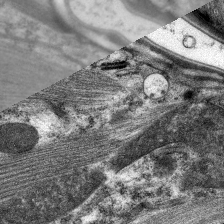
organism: C. elegans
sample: Pharynx